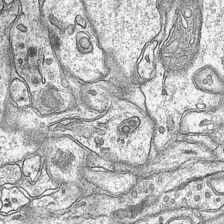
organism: Mouse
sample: CA1 Hippocampus